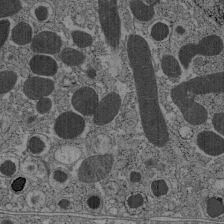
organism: C57BL Mouse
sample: Pancreatic islet